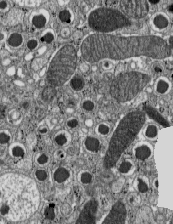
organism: C57BL Mouse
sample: Pancreatic islet